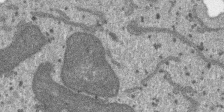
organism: Human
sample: Lung epithelial cells infected with SARS-CoV-2